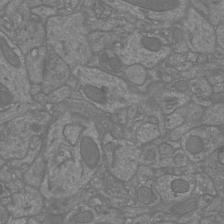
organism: Mouse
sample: Cortical neurons